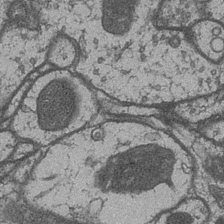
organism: Drosophila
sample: Optic medulla